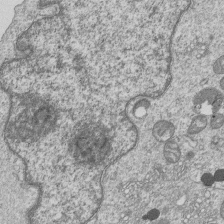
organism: Human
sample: MDA-MB-231 cells